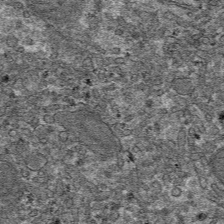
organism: Mouse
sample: Mouse hepatocytes